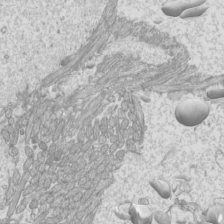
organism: Mouse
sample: Cilia; mouse epididymis